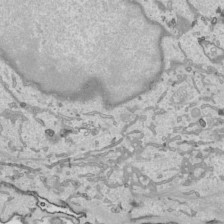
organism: Human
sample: Mitochondria in HCT116 cells